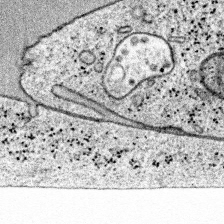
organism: Human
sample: HeLa cells